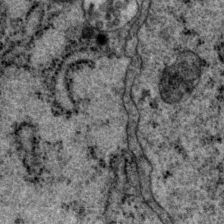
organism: P. pacificus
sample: Pharynx